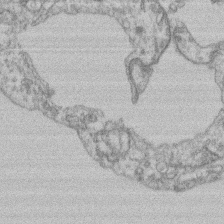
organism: Mouse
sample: T cell stromal cell synapse